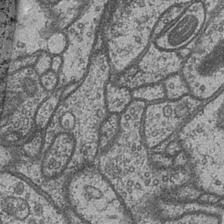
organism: Drosophila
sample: Optic medulla